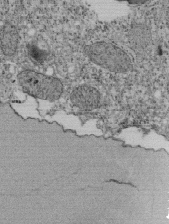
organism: Tetrahymena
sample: Cilia in tetrahymena